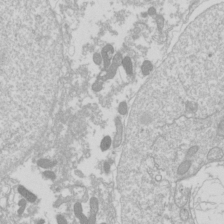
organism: Drosophila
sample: Cell division; meiosis; drosophila spermatocytes